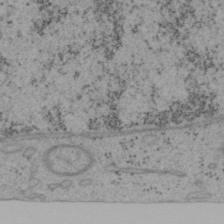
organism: Human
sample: HeLa cells